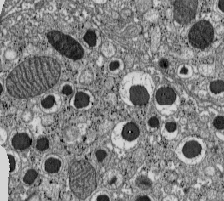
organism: C57BL Mouse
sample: Pancreatic islet